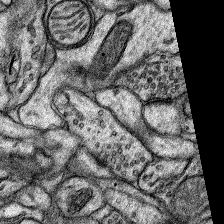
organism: Rat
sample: Hippocampus